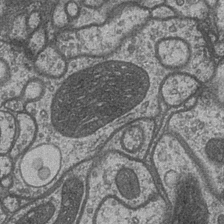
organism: Drosophila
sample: Optic medulla